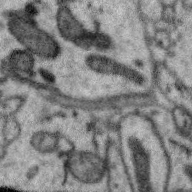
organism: Zebra finch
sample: Brain